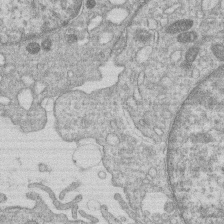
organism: Human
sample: Macrophage cells